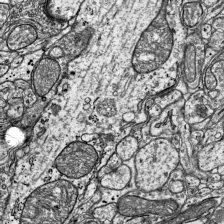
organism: Mouse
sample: Visual Cortex